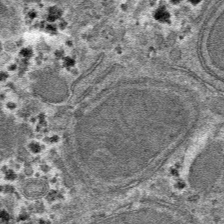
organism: Mouse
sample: Mouse hepatocytes